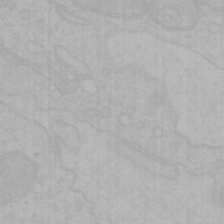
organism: Mouse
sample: Choroid plexus